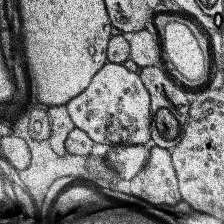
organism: Human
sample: Temporal Lobe